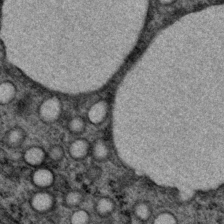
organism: P. pacificus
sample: Pharynx